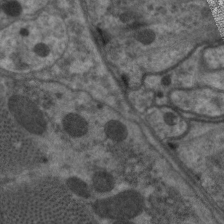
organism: C. elegans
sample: Pharynx